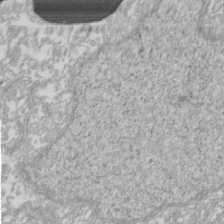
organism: Xenopus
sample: Cilia; centrioles in frog embryo cells